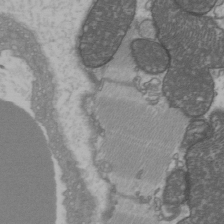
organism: C57BL Mouse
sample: Heart